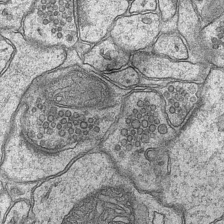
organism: Mouse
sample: CA1 Hippocampus